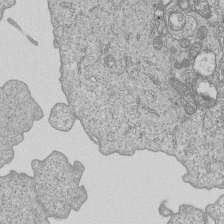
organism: Human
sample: MDA-MB-231 cells